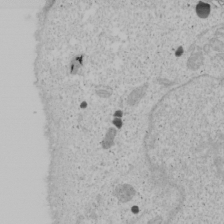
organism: Human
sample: Mitochondria in U2OS cells